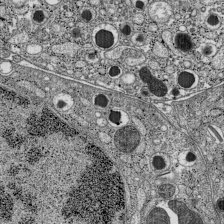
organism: C57BL Mouse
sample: Pancreatic islet